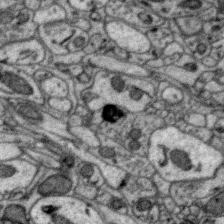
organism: Zebra finch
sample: Brain